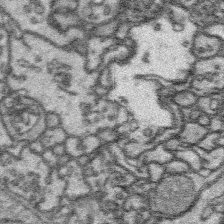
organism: Platynereis dumerilii